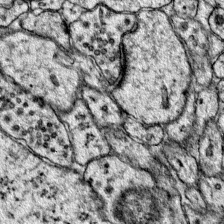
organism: Mouse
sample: Primary visual cortex